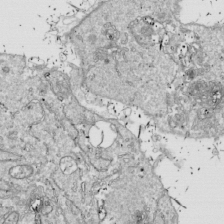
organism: Drosophila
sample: Cell division; meiosis; drosophila spermatocytes